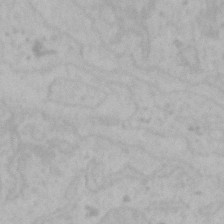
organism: Mouse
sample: Choroid plexus